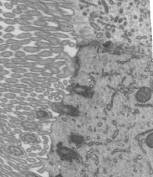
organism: Mouse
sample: Mouse epididymis efferent ductule cilia